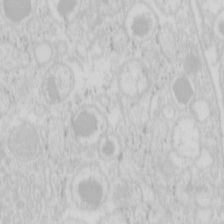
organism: Mouse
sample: Pancreas